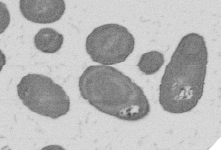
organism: B. subtilis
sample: Bacterial spore